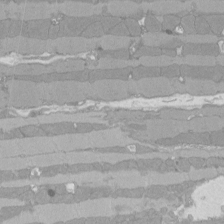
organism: Rat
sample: Left ventricle